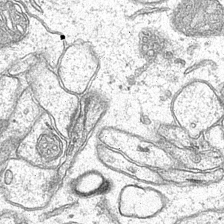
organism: Mouse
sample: CA1 Hippocampus